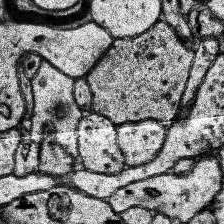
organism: Human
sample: Temporal Lobe